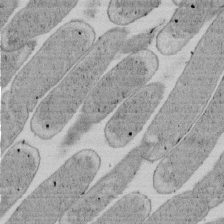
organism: E. coli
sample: Bacterial nucleoid